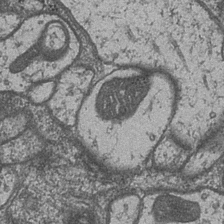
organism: Drosophila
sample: Optic medulla